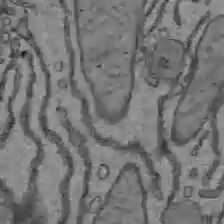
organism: C57BL Mouse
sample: Liver